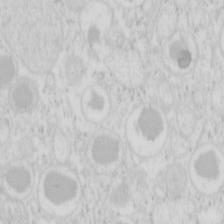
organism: Mouse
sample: Pancreas